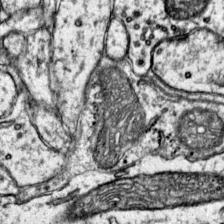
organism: Mouse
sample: Primary visual cortex